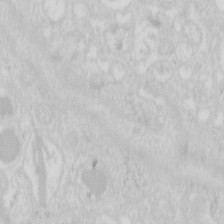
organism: Mouse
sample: Pancreas